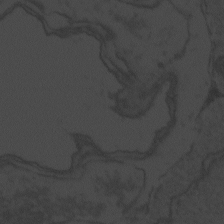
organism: Zebrafish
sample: Macrophage infected with Toxoplasma gondii